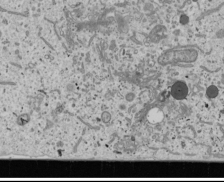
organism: Human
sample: Mitochondria in U2OS cells